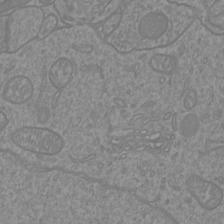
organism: Mouse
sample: Cortical neurons